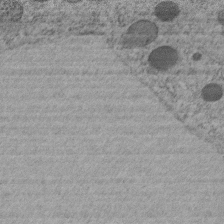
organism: C. elegans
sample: C. elegans embryo early stage